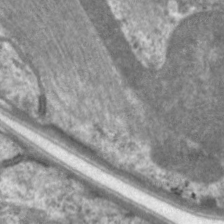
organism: C. elegans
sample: Pharynx